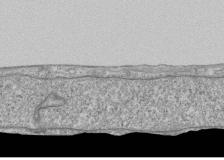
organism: Human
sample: Fibroblast cells